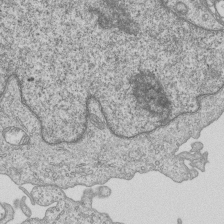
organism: Human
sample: MDA-MB-231 cells